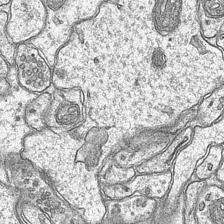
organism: Mouse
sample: CA1 Hippocampus